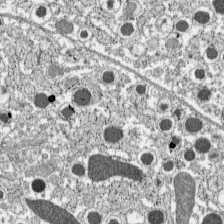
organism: C57BL Mouse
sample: Pancreatic islet